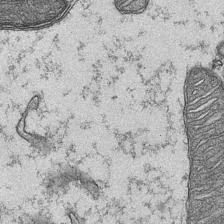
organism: Mouse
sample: CA1 Hippocampus